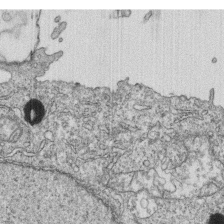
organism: Human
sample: HeLa cell HIV synapse